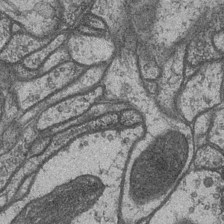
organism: Drosophila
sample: Optic medulla